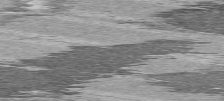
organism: C57BL Mouse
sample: Heart